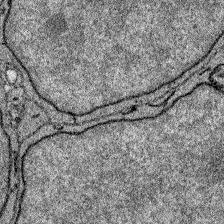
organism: Zebrafish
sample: Larval olfactory bulb